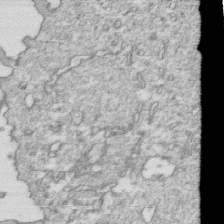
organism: Mouse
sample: Activated OT-1 CD8+ T cells